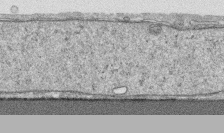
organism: Human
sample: CRL-1474